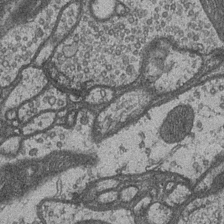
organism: Drosophila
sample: Optic medulla